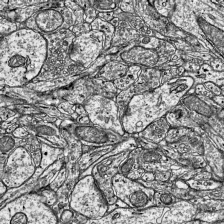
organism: Mouse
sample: Visual Cortex